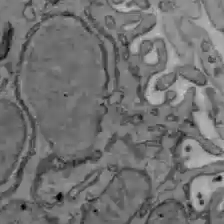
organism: C57BL Mouse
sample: Liver